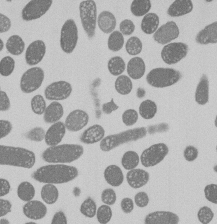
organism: E. coli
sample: Bacterial nucleoid